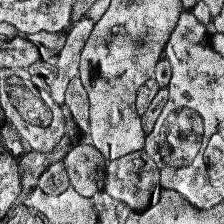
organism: Human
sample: Temporal Lobe